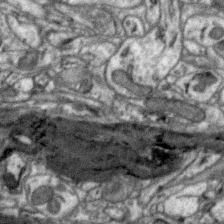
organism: Zebra finch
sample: Brain